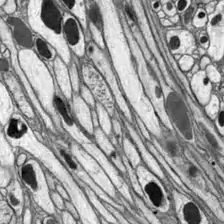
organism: Drosophila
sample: Optic lobe